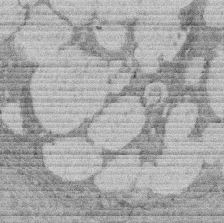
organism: Rat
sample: Salivary granule